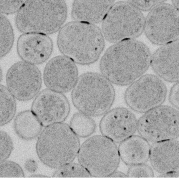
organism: E. coli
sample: Bacterial nucleoid